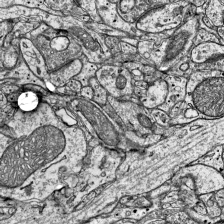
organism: Mouse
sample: Visual Cortex